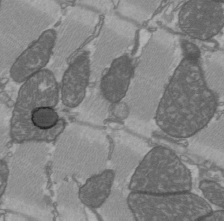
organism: C57BL Mouse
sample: Heart